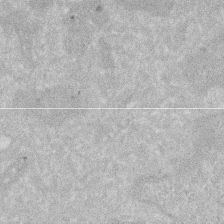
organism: Human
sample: HIV infected U937 cells